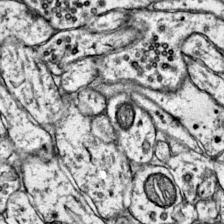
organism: Mouse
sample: Primary visual cortex